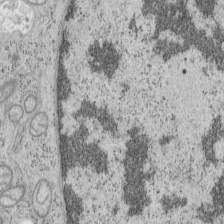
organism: Mouse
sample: OT-I killer T cells with ID8 ovarian cancer cells